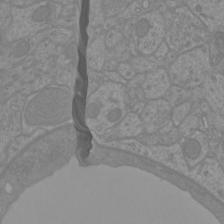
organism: Mouse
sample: Cortical neurons